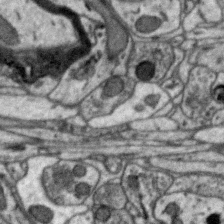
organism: Zebra finch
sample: Brain